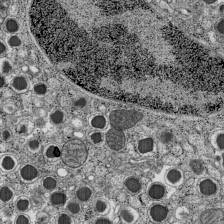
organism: C57BL Mouse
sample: Pancreatic islet